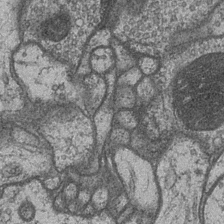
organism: Drosophila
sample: Optic medulla